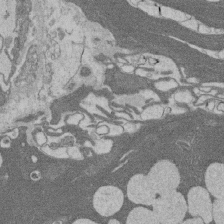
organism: Rat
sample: Salivary granule